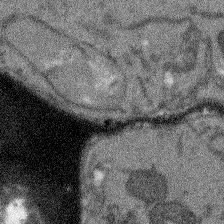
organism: Arabidopsis thaliana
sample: Root tip